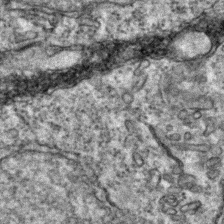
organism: Zebrafish